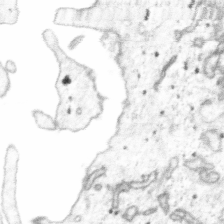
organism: Human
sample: HeLa cells